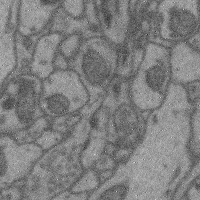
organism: Mouse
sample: Cerebral cortex